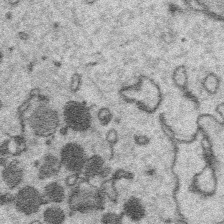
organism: Platynereis dumerilii